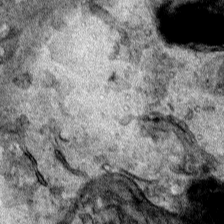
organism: Human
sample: Mitochondria in HCT116 cells